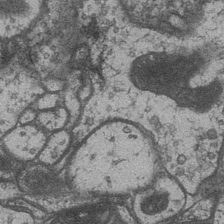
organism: Drosophila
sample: Optic medulla